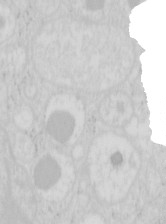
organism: Mouse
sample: Pancreas